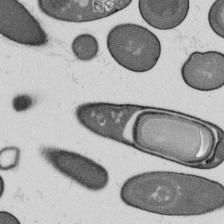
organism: B. subtilis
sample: Bacterial spore